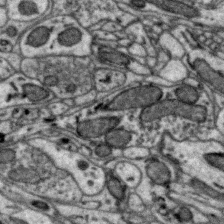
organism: Zebra finch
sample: Brain